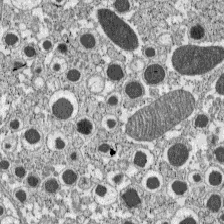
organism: C57BL Mouse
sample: Pancreatic islet